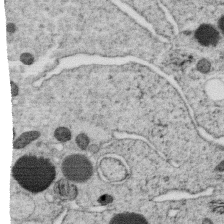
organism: C. elegans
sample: C. elegans oocyte; sperm cells